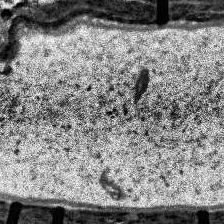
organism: Human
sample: Temporal Lobe